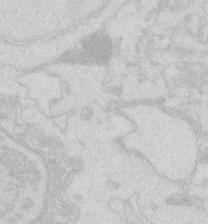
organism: Zebrafish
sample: Macrophage